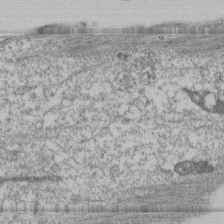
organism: Human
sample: Fibroblast cells